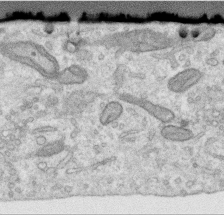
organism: Human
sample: Centriole in RPE cells